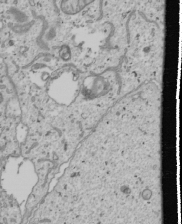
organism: Human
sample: Mitochondria in U2OS cells